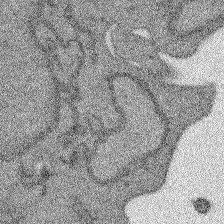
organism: Human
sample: HeLa cells